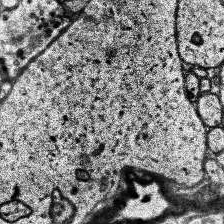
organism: Human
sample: Temporal Lobe